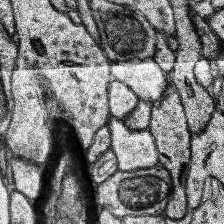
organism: Human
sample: Temporal Lobe